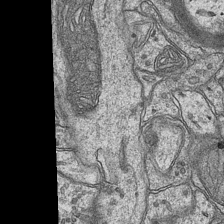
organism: Mouse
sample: CA1 Hippocampus